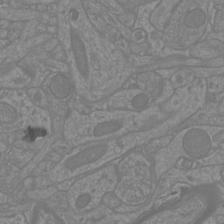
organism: Mouse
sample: Cortical neurons